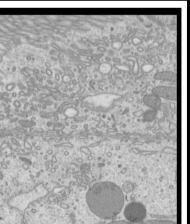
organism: Mouse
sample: Cilia; mouse epididymis